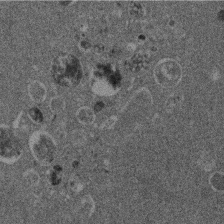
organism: Mouse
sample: Dividing mouse embryo 1 cell stage